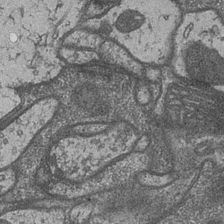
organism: Drosophila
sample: Optic medulla